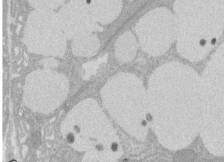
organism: Rat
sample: Salivary granule